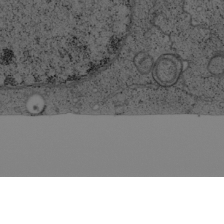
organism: African green monkey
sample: COS-7 cells